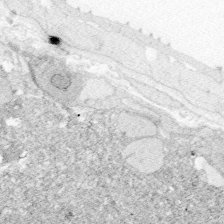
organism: Zebrafish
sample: Whole-Brain